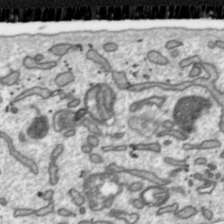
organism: Toxoplasma gondii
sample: Parasites in a vacuole inside a host cell